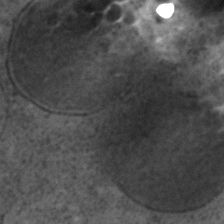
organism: C. elegans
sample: C. elegans embryo